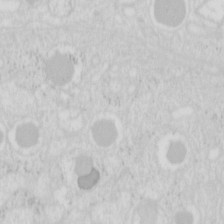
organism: Mouse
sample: Pancreas